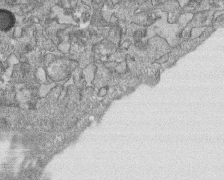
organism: Human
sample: CRL-1474